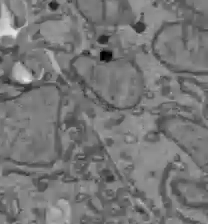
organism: C57BL Mouse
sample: Liver